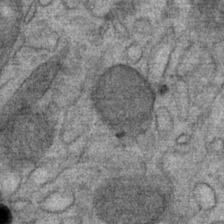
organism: Mouse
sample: Mouse Salivary gland